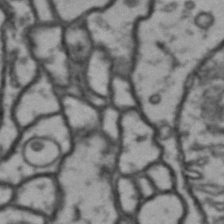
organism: Drosophila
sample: Brain